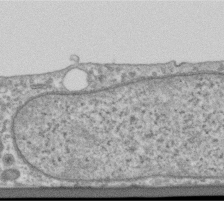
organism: Human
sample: Centriole in RPE cells